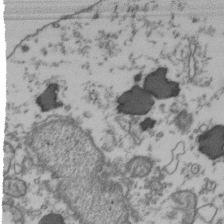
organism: Human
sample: Activated Jurkat CD4+ T cells